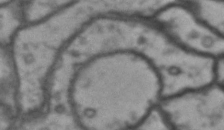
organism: Drosophila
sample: Brain